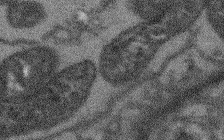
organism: Arabidopsis thaliana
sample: Root tip